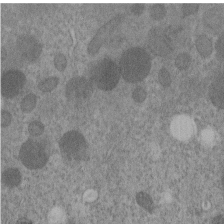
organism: C. elegans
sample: C. elegans embryo early stage